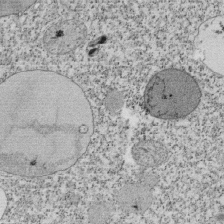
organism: Tetrahymena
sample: Cilia in tetrahymena